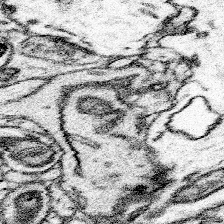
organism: Mouse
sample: Somatosensory cortex neuropil